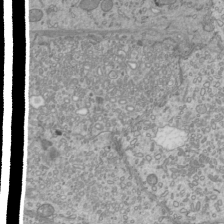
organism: Mouse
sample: Cilia; mouse epididymis